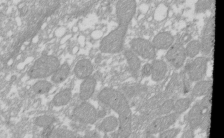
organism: Xenopus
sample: Cilia; centrioles in frog embryo cells